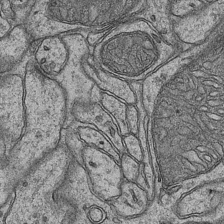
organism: Mouse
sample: CA1 Hippocampus